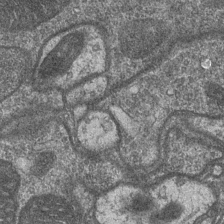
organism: Drosophila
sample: Optic medulla